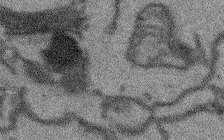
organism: Arabidopsis thaliana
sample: Root tip